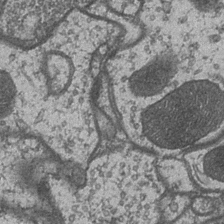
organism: Drosophila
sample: Optic medulla